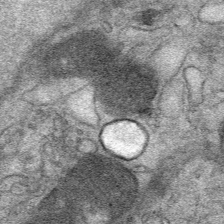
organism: Mouse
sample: Mouse Salivary gland